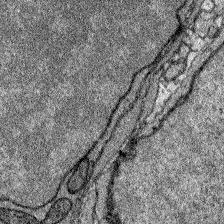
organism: Zebrafish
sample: Larval olfactory bulb